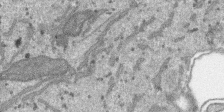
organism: Human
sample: Lung epithelial cells infected with SARS-CoV-2